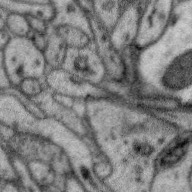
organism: Zebra finch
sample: Brain